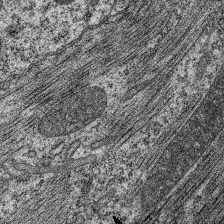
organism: C. elegans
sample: Pharynx